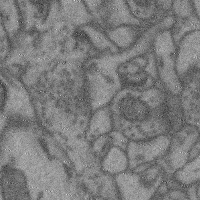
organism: Mouse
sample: Cerebral cortex